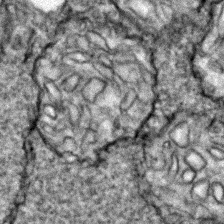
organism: Zebrafish